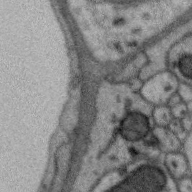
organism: Zebra finch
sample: Brain